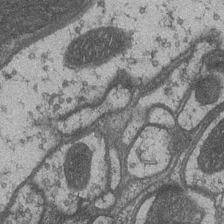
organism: Drosophila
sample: Optic medulla